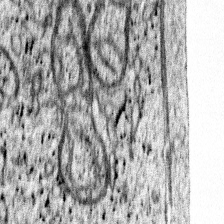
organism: Human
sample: HeLa cells